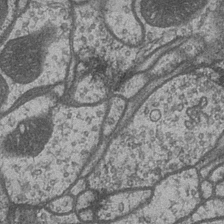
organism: Drosophila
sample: Optic medulla